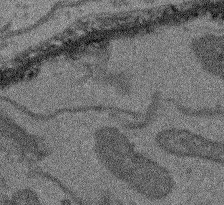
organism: Arabidopsis thaliana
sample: Root tip